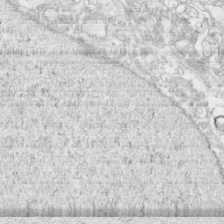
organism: Human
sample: CRL-1474